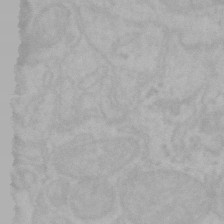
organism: Mouse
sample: Choroid plexus